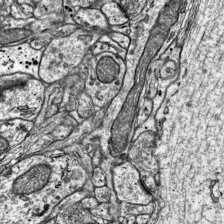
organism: Mouse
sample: Visual Cortex